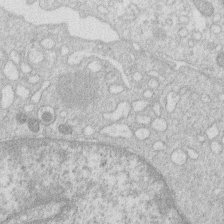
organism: Human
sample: Macrophage cells